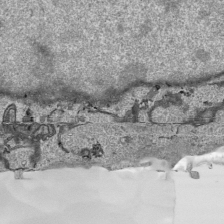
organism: Human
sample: Mitochondria in HCT116 cells